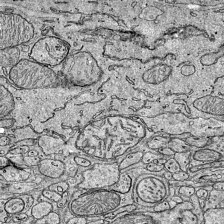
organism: Mouse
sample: Visual Cortex